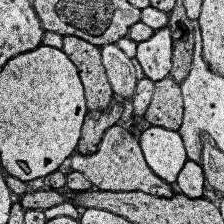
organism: Human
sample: Temporal Lobe